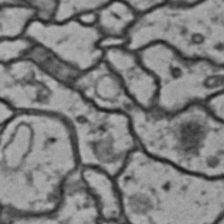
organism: Drosophila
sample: Brain